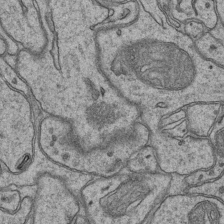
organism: Mouse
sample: CA1 Hippocampus